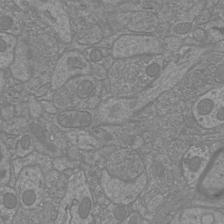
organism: Mouse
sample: Cortical neurons